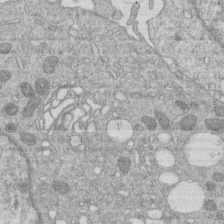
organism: Human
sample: Macrophage cells